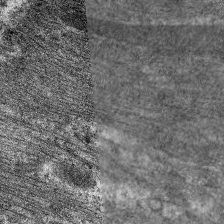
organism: C. elegans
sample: Pharynx